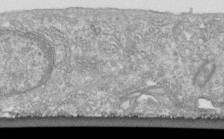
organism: Human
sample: Centriole in fibroblast cells